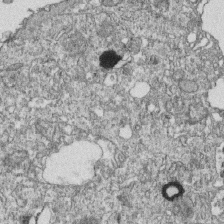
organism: Human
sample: HeLa cell HIV synapse